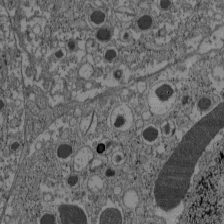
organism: C57BL Mouse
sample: Pancreatic islet